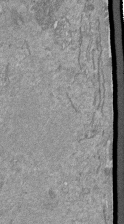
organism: Mouse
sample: ED-1 cell nuclei; centrioles